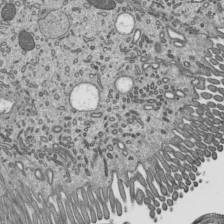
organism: Mouse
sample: Mouse epididymis efferent ductule cilia